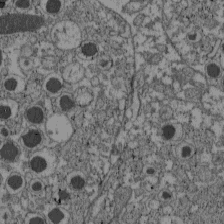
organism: C57BL Mouse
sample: Pancreatic islet